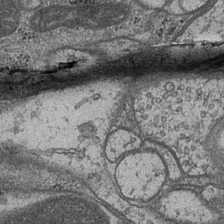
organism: Drosophila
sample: Optic medulla